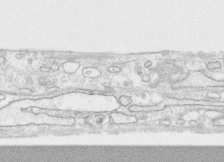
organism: Human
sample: CRL-1474